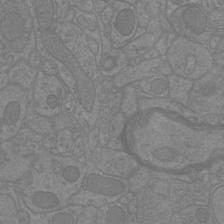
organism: Mouse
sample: Cortical neurons